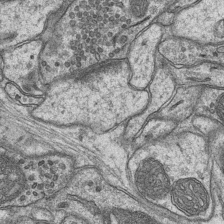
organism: Mouse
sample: CA1 Hippocampus